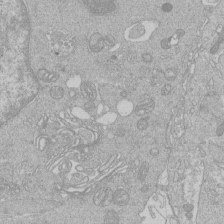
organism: Human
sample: Macrophage cells